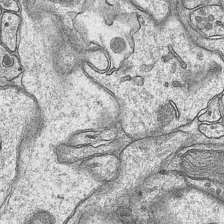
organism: Mouse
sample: CA1 Hippocampus